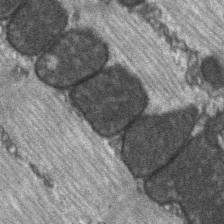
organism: C57BL Mouse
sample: Soleus